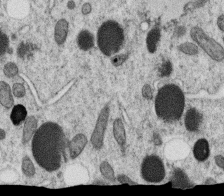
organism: C. elegans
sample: C. elegans oocyte; sperm cells